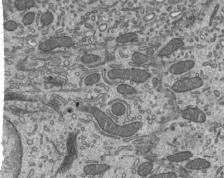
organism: Mouse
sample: Mouse epididymis efferent ductule cilia